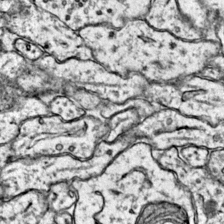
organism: Mouse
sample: Primary visual cortex